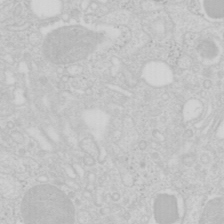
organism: Mouse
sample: Pancreas